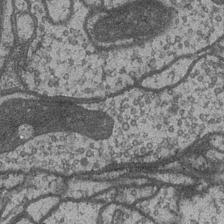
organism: Drosophila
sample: Optic medulla